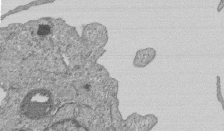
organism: Human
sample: MDA-MB-231 cells